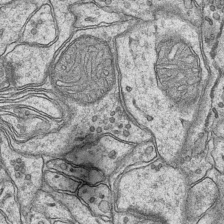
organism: Mouse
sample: CA1 Hippocampus